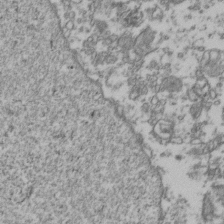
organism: Human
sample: Activated Jurkat CD4+ T cells